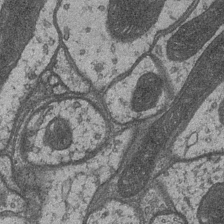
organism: Drosophila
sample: Optic medulla